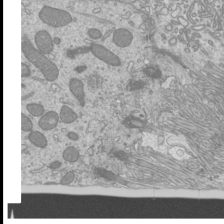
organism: Mouse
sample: Cilia; mouse epididymis